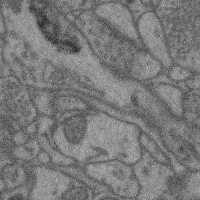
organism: Mouse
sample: Cerebral cortex